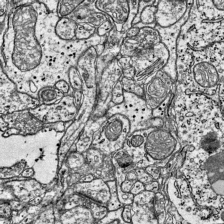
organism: Mouse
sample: Visual Cortex